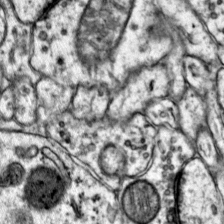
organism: Mouse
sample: Primary visual cortex